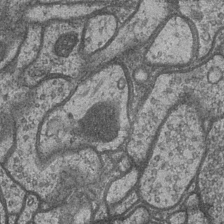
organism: Drosophila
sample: Optic medulla